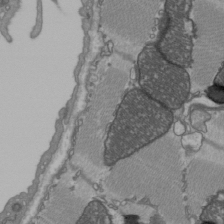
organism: C57BL Mouse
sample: Heart